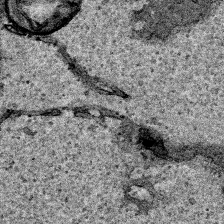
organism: Human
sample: Mitochondria in HCT116 cells